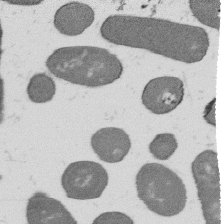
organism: B. subtilis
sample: Bacterial spore